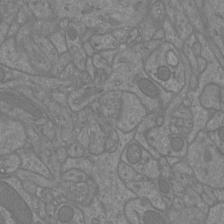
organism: Mouse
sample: Cortical neurons